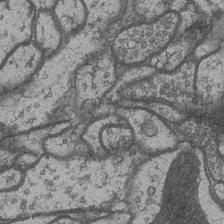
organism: Drosophila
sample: Optic medulla